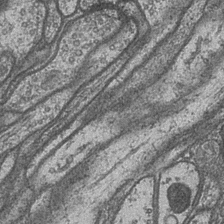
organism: Drosophila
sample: Optic medulla